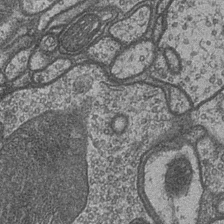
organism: Drosophila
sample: Optic medulla